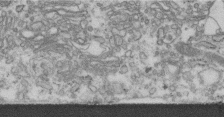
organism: Human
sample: Centriole in fibroblast cells